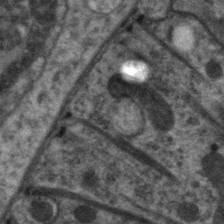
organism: C. elegans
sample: Pharynx